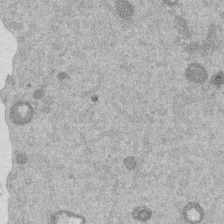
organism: Mouse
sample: Dividing mouse embryo 1 cell stage